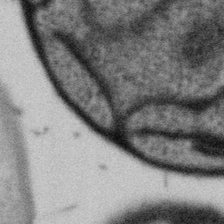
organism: Gemmata obscuriglobus